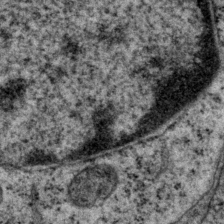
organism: P. pacificus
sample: Pharynx